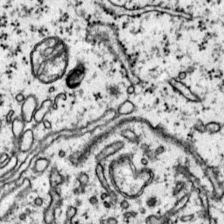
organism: Mouse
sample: Primary visual cortex